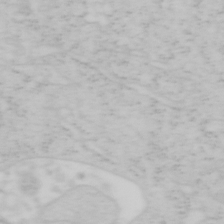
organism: Mouse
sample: OT-I killer T cells with ID8 ovarian cancer cells